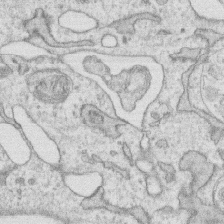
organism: Human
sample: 1205lu cells